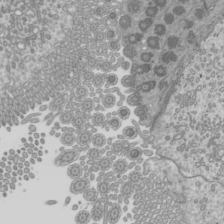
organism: Mouse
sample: Cilia; mouse epididymis